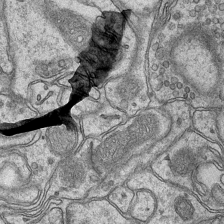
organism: Mouse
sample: CA1 Hippocampus